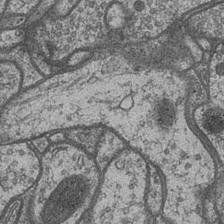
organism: Drosophila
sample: Optic medulla